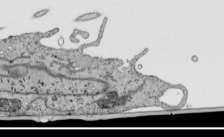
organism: Human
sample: Mitochondria in HCT116 cells